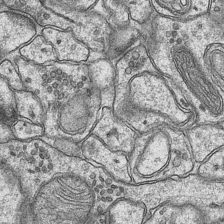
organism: Mouse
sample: CA1 Hippocampus